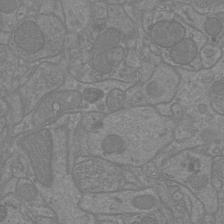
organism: Mouse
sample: Cortical neurons